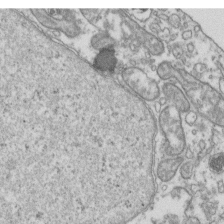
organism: Human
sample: Activated Jurkat CD4+ T cells